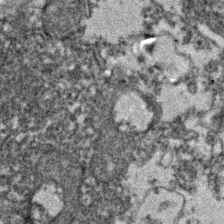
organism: Zebrafish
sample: Zebrafish embryo